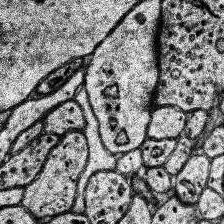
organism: Human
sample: Temporal Lobe